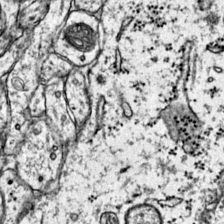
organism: Mouse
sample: Primary visual cortex